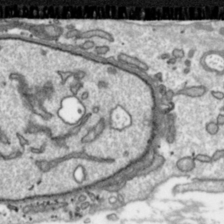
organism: Toxoplasma gondii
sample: Parasites in a vacuole inside a host cell